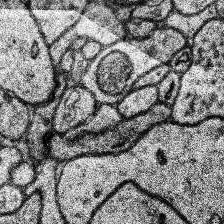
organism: Human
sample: Temporal Lobe